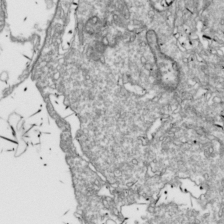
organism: Drosophila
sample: Cell division; meiosis; drosophila spermatocytes